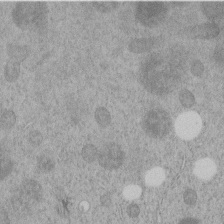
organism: C. elegans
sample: C. elegans embryo early stage